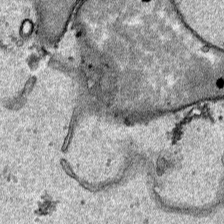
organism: Human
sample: Mitochondria in HCT116 cells